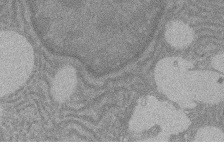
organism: Rat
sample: Salivary granule